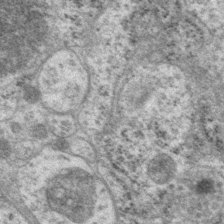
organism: P. pacificus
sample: Pharynx